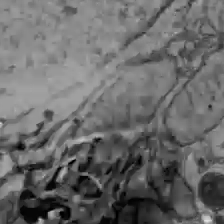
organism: C57BL Mouse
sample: Liver